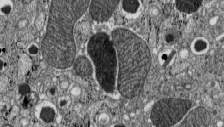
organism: C57BL Mouse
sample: Pancreatic islet